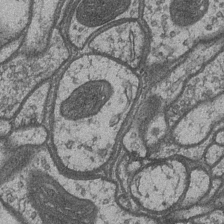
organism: Drosophila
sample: Optic medulla